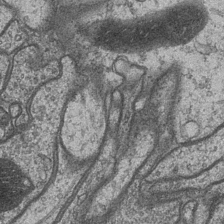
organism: Drosophila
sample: Optic medulla